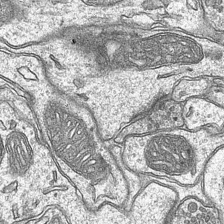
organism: Mouse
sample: CA1 Hippocampus